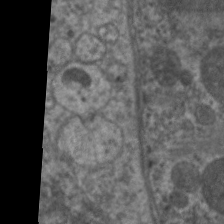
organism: C. elegans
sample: Pharynx